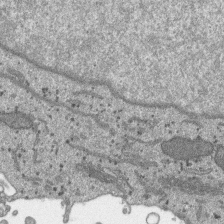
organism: Human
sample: Lung epithelial cells infected with SARS-CoV-2